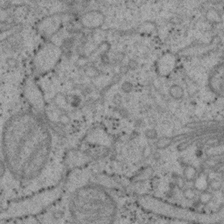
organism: Human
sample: HeLa cells